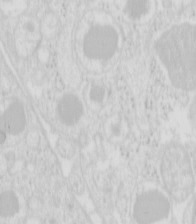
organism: Mouse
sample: Pancreas